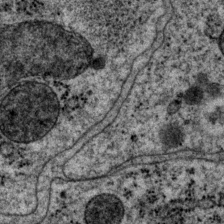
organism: P. pacificus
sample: Pharynx